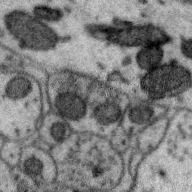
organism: Zebra finch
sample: Brain